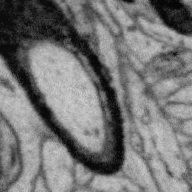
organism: Zebra finch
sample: Brain